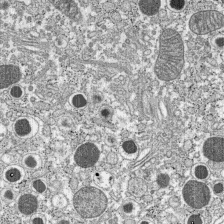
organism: C57BL Mouse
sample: Pancreatic islet